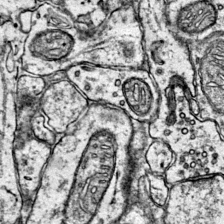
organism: Mouse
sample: Primary visual cortex